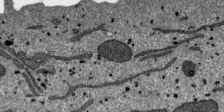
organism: Human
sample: Lung epithelial cells, uninfected (mock) control